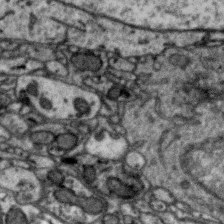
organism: Zebra finch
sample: Brain